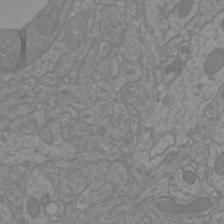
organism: Mouse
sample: Cortical neurons